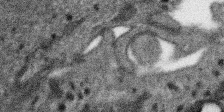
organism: Human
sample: Lung epithelial cells infected with SARS-CoV-2